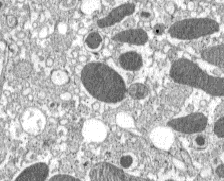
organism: C57BL Mouse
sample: Pancreatic islet